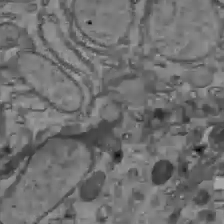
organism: C57BL Mouse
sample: Liver